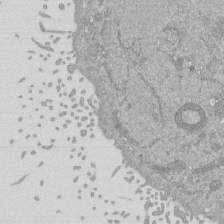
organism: Mouse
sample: ED-1 cell nuclei; centrioles